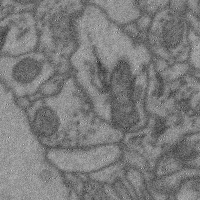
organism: Mouse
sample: Cerebral cortex